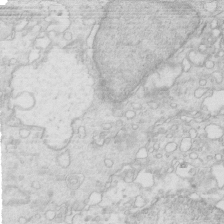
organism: Mouse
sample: Multiciliated cells